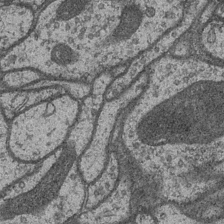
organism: Drosophila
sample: Optic medulla